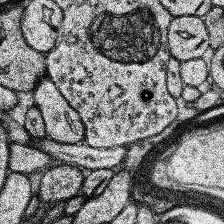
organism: Human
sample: Temporal Lobe